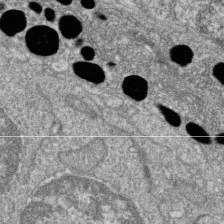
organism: Zebrafish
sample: Cilia; retinal pigment epithelium